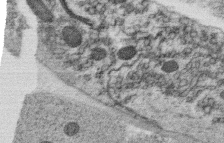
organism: C. elegans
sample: C. elegans oocyte; sperm cells